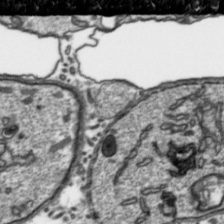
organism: Toxoplasma gondii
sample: Parasites in a vacuole inside a host cell